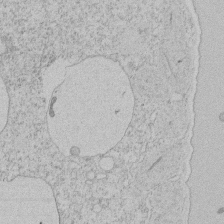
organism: Tetrahymena